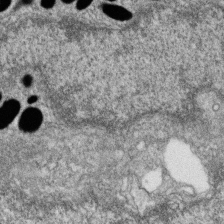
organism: Zebrafish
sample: Cilia; retinal pigment epithelium